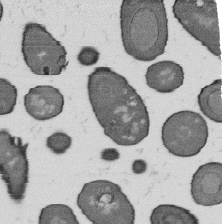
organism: B. subtilis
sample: Bacterial spore